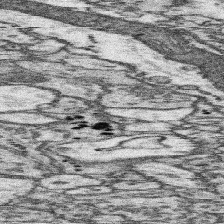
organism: Mouse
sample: Somatosensory cortex neuropil